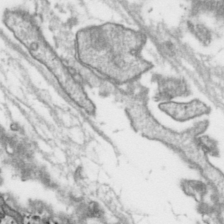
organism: Toxoplasma gondii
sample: Parasites in a vacuole inside a host cell